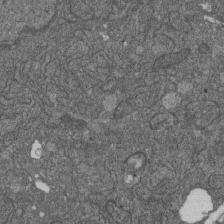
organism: Drosophila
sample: Nephrocyte